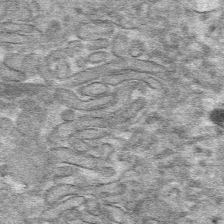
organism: Mouse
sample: Mouse hepatocytes